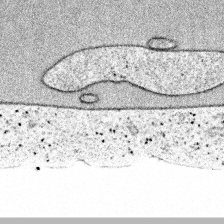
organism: Human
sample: HeLa cells